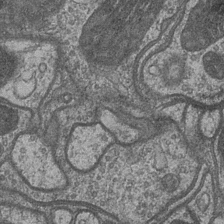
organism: Drosophila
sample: Optic medulla